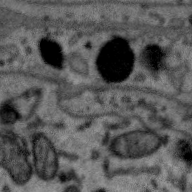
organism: Zebra finch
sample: Brain